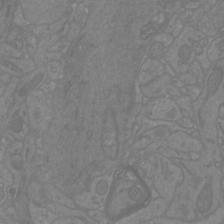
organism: Mouse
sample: Cortical neurons